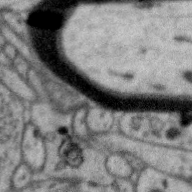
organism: Zebra finch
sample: Brain